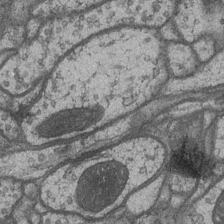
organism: Drosophila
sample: Optic medulla